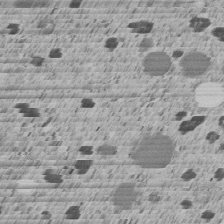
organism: C. elegans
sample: C. elegans embryo early stage